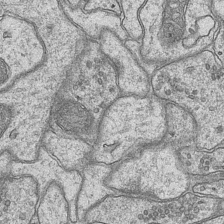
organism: Mouse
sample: CA1 Hippocampus